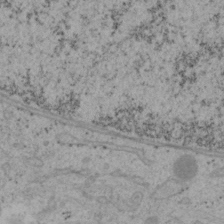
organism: Human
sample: HeLa cells